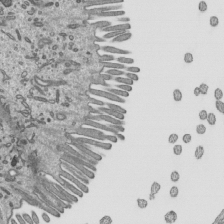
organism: Mouse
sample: Mouse epididymis efferent ductule cilia